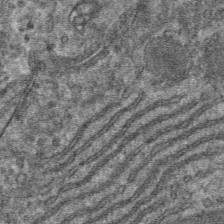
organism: Mouse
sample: Mouse hepatocytes